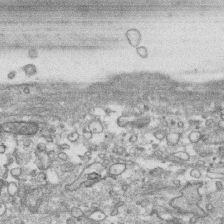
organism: Human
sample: CRL-1474